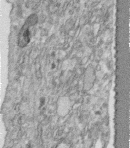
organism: Human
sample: Centriole in fibroblast cells